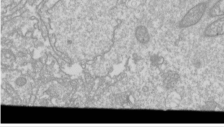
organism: Drosophila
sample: Cell division; meiosis; drosophila spermatocytes